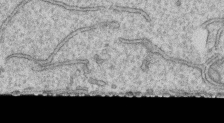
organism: Human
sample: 1205lu cells